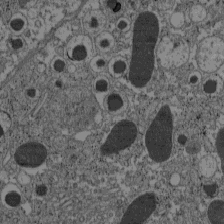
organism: C57BL Mouse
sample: Pancreatic islet